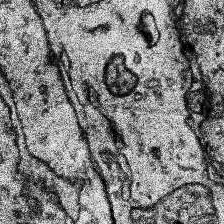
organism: Human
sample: Temporal Lobe